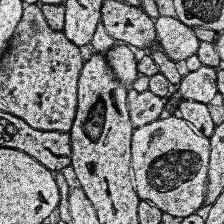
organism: Human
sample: Temporal Lobe